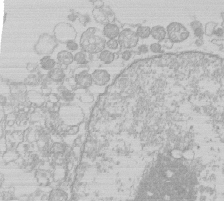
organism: Human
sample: Macrophage cells